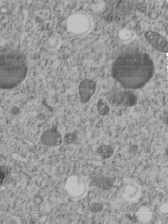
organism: C. elegans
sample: C. elegans embryo early stage